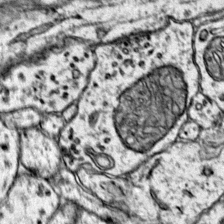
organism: Mouse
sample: Primary visual cortex